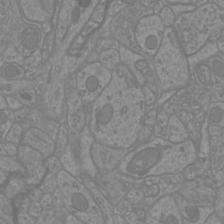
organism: Mouse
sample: Cortical neurons